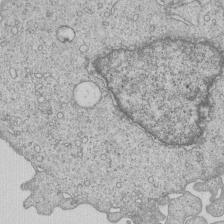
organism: Human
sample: MDA-MB-231 cells